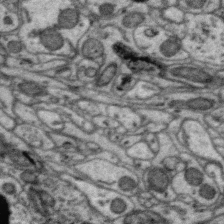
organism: Zebra finch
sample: Brain